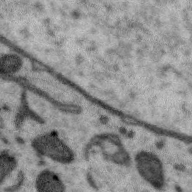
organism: Zebra finch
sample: Brain